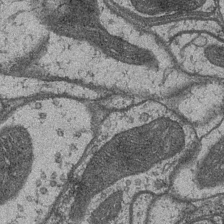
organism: Drosophila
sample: Optic medulla